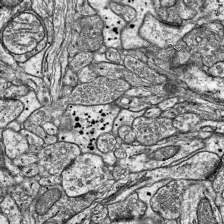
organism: Mouse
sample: Visual Cortex